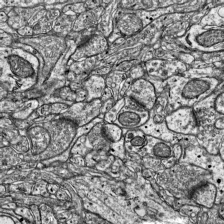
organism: Mouse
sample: Visual Cortex